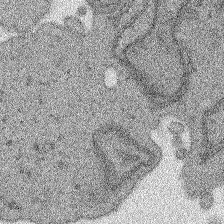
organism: Human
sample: HeLa cells